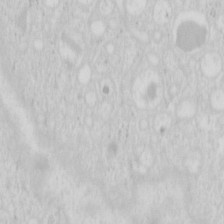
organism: Mouse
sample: Pancreas